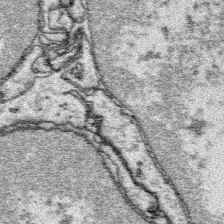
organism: Platynereis dumerilii